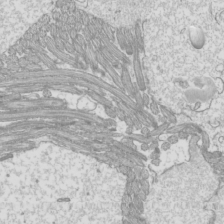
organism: Mouse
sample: Cilia; mouse epididymis